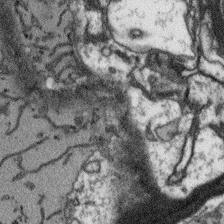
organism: Arabidopsis thaliana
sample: Root tip